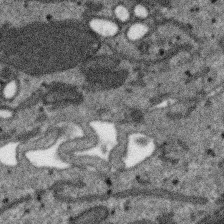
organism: Human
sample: Lung epithelial cells infected with SARS-CoV-2